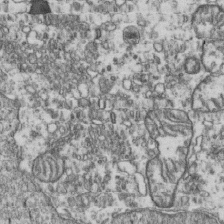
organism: Human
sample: Activated Jurkat CD4+ T cells